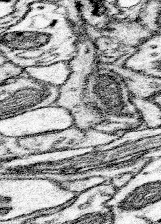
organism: Mouse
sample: Somatosensory cortex neuropil